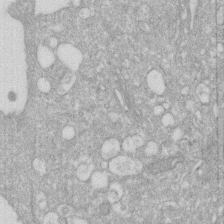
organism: Human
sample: HIV infected U937 cells